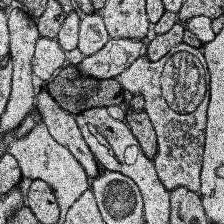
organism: Human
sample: Temporal Lobe